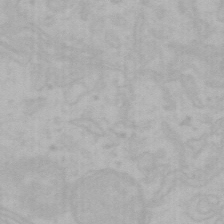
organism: Mouse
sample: Choroid plexus